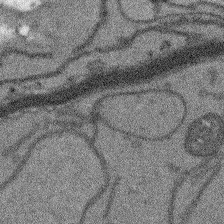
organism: Arabidopsis thaliana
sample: Root tip